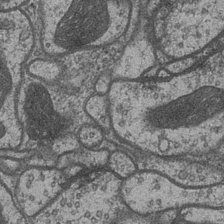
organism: Drosophila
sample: Optic medulla